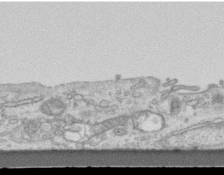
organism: Mouse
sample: Centriole in ependymal cells